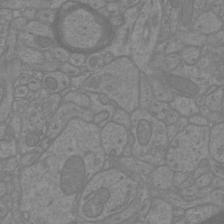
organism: Mouse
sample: Cortical neurons